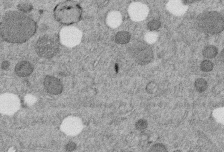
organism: C. elegans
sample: C. elegans embryo early stage